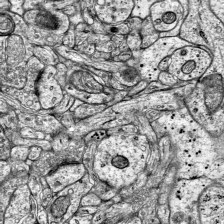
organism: Mouse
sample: Visual Cortex